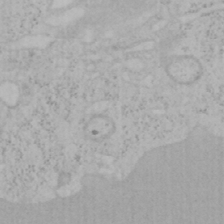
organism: Mouse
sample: OT-I killer T cells with ID8 ovarian cancer cells